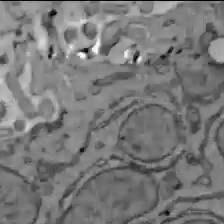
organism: C57BL Mouse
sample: Liver